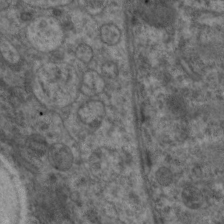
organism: C. elegans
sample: Pharynx